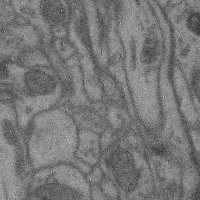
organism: Mouse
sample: Cerebral cortex